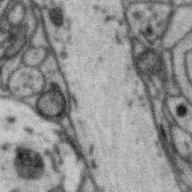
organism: Zebra finch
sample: Brain